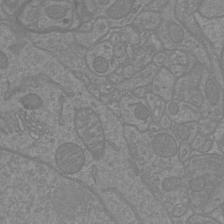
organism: Mouse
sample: Cortical neurons